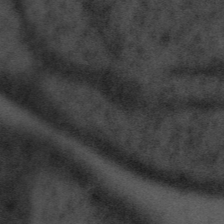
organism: Tuwongella immobilis